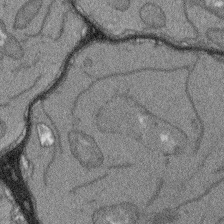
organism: Arabidopsis thaliana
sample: Root tip